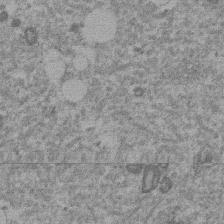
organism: Mouse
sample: Dividing mouse embryo 1 cell stage